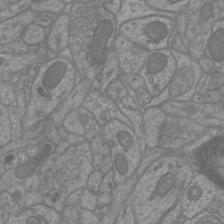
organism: Mouse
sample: Cortical neurons